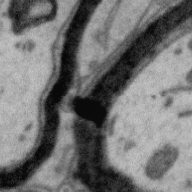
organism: Zebra finch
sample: Brain